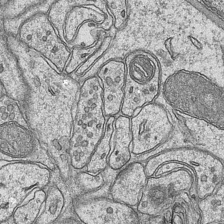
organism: Mouse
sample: CA1 Hippocampus